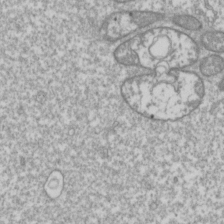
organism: Drosophila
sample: Cell division; meiosis; drosophila spermatocytes